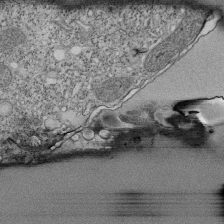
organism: Tetrahymena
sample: Cilia in tetrahymena